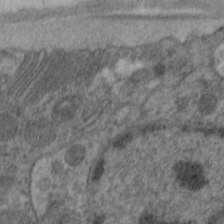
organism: C. elegans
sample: Pharynx